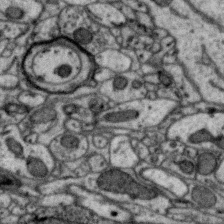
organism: Zebra finch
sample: Brain